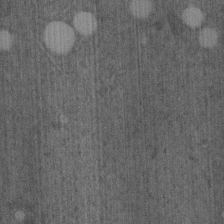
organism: C. elegans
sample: C. elegans embryo early stage